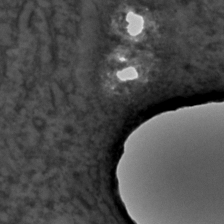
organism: C. elegans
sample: C. elegans embryo